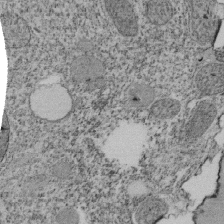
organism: Tetrahymena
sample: Cilia in tetrahymena